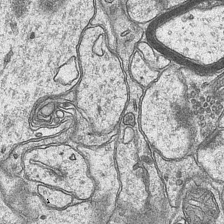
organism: Mouse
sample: CA1 Hippocampus